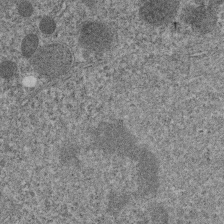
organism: C. elegans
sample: C. elegans embryo early stage